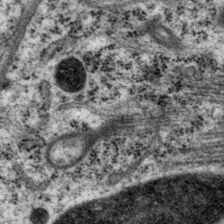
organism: P. pacificus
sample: Pharynx